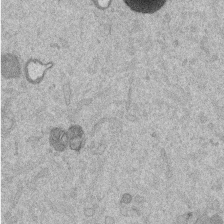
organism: Mouse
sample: Dividing mouse embryo 1 cell stage